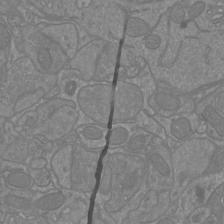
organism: Mouse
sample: Cortical neurons